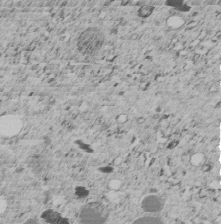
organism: C. elegans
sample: C. elegans embryo early stage